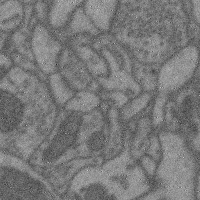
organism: Mouse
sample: Cerebral cortex